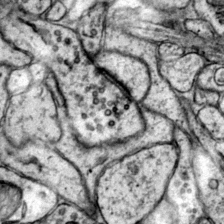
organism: Mouse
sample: Primary visual cortex